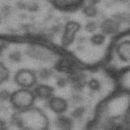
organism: Drosophila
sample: Brain